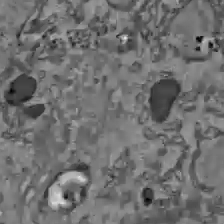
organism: C57BL Mouse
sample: Liver